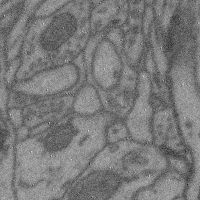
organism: Mouse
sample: Cerebral cortex